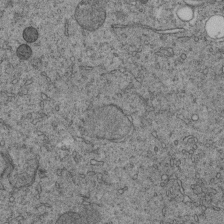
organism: C. elegans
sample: C. elegans embryo early stage